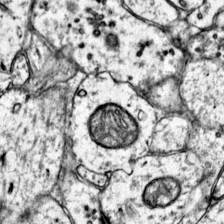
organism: Mouse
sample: Primary visual cortex